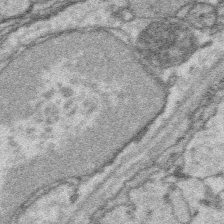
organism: Platynereis dumerilii